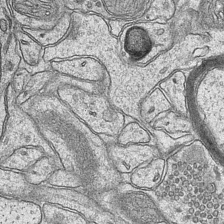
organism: Mouse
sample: CA1 Hippocampus